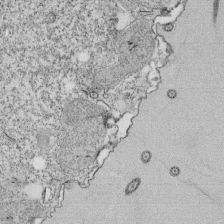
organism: Tetrahymena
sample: Cilia in tetrahymena